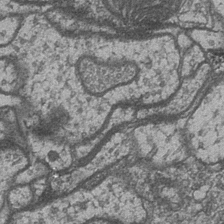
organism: Drosophila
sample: Optic medulla